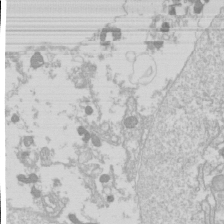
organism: Drosophila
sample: Cell division; meiosis; drosophila spermatocytes